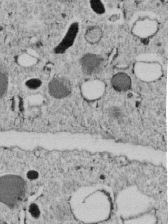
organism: C. elegans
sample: C. elegans embryo early stage